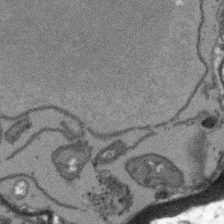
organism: Arabidopsis thaliana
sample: Root tip